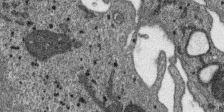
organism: Human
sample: Lung epithelial cells infected with SARS-CoV-2